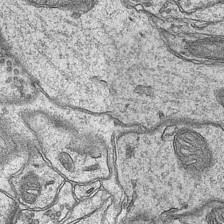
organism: Mouse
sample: CA1 Hippocampus